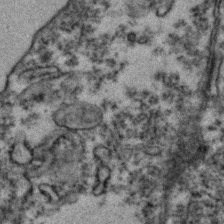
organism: Zebrafish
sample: Zebrafish embryo